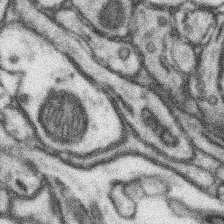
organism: Mouse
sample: Somatosensory cortex neuropil